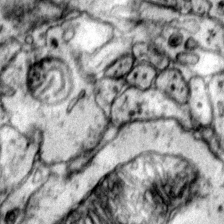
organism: Mouse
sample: Primary visual cortex